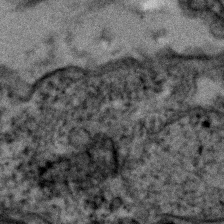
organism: Human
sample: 1205lu cells